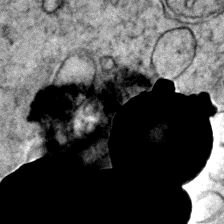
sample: Trachea